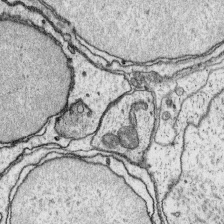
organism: Platynereis dumerilii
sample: Parapodia